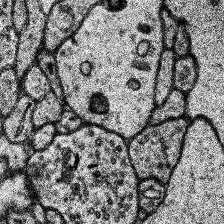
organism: Human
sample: Temporal Lobe